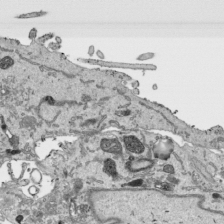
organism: Human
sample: Mitochondria in HCT116 cells